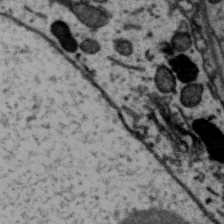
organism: Zebra finch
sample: Brain